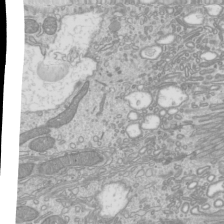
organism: Mouse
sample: Cilia; mouse epididymis